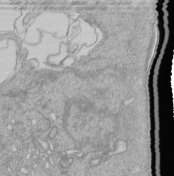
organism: Human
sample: Retinal organoid Rod and Cone cells